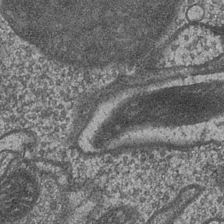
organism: Drosophila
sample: Optic medulla